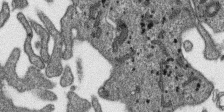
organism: Human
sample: Lung epithelial cells infected with SARS-CoV-2